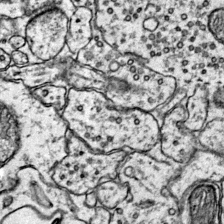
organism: Mouse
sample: Primary visual cortex